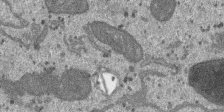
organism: Human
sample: Lung epithelial cells infected with SARS-CoV-2